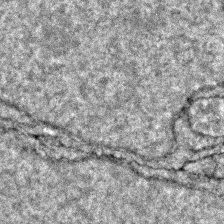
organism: Zebrafish